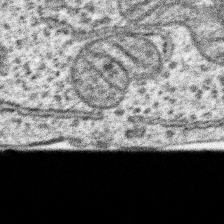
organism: Human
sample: HeLa cells